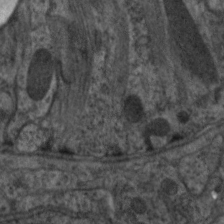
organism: C. elegans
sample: Pharynx